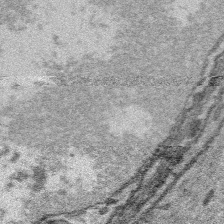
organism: Platynereis dumerilii